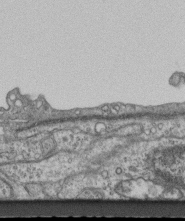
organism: Mouse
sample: Centriole in ependymal cells